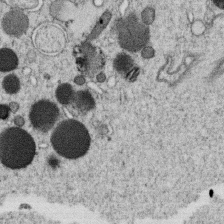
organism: C. elegans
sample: C. elegans oocyte; sperm cells